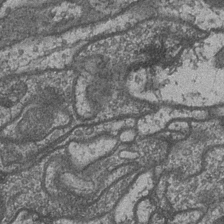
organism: Drosophila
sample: Optic medulla